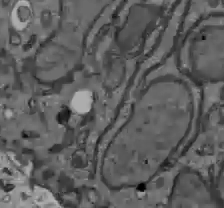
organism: C57BL Mouse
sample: Liver